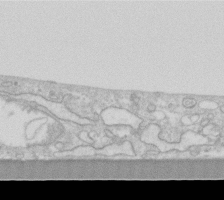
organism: Human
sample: Fibroblast cells